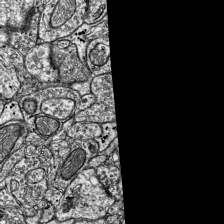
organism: Mouse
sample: Visual Cortex